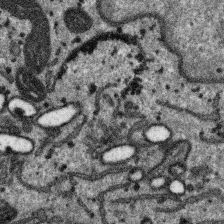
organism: Human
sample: Lung epithelial cells infected with SARS-CoV-2